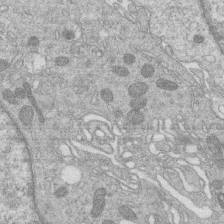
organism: Human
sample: Macrophage cells